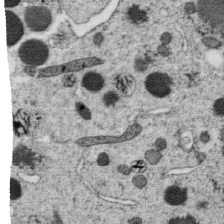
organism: C. elegans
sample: C. elegans oocyte; sperm cells